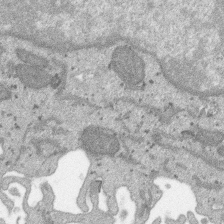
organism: Human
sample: Lung epithelial cells infected with SARS-CoV-2